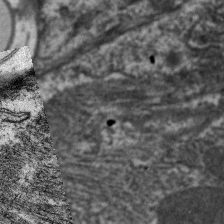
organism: C. elegans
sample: Pharynx